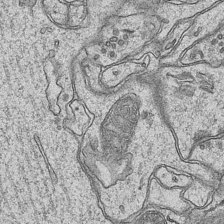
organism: Mouse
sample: CA1 Hippocampus